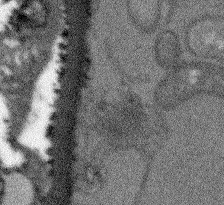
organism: Arabidopsis thaliana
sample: Root tip